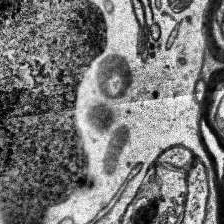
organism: Human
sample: Temporal Lobe